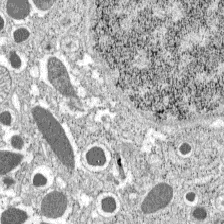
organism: C57BL Mouse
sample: Pancreatic islet